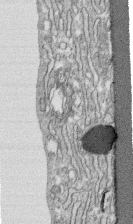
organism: Human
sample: CRL-1474